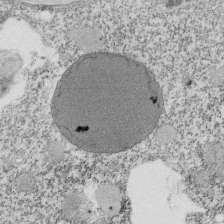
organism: Tetrahymena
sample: Cilia in tetrahymena